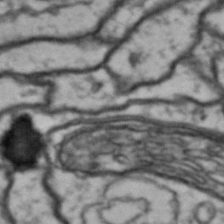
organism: Drosophila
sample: Brain